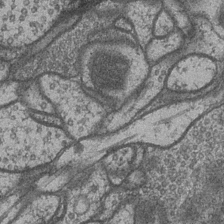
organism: Drosophila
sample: Optic medulla